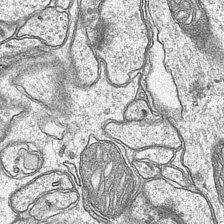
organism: Mouse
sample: CA1 Hippocampus